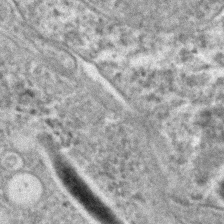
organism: C. elegans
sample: C. elegans embryo